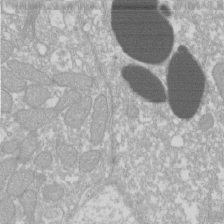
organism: Xenopus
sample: Cilia; centrioles in frog embryo cells